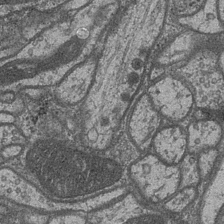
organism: Drosophila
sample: Optic medulla